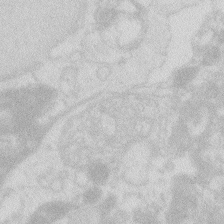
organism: Zebrafish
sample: Macrophage